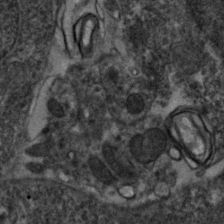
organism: Zebrafish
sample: Zebrafish embryo